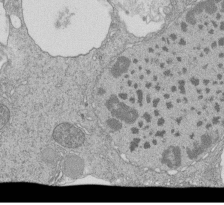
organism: Tetrahymena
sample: Cilia in tetrahymena